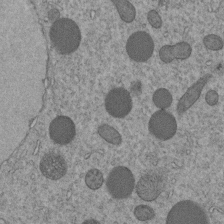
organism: C. elegans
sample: C. elegans embryo early stage